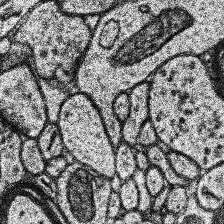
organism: Human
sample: Temporal Lobe